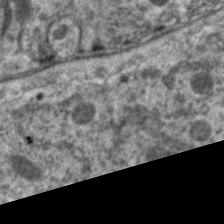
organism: C. elegans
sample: Pharynx